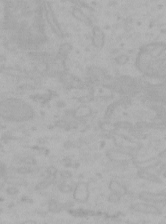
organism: Mouse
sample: Choroid plexus